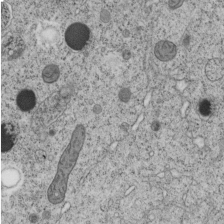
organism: C. elegans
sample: C. elegans embryo early stage